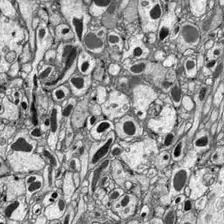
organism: Drosophila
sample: Optic lobe